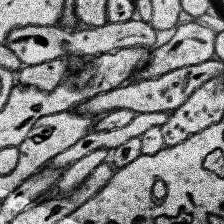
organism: Human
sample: Temporal Lobe